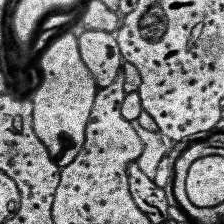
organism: Human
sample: Temporal Lobe